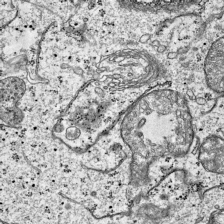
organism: Mouse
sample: Visual Cortex